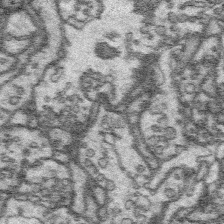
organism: Platynereis dumerilii